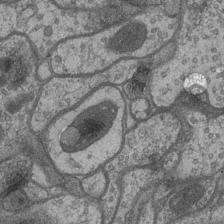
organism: Drosophila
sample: Optic medulla